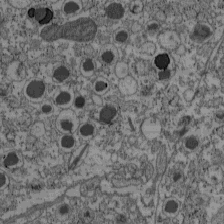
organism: C57BL Mouse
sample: Pancreatic islet